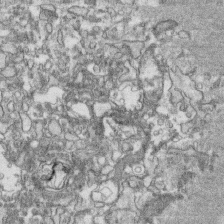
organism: Human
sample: CRL-1474